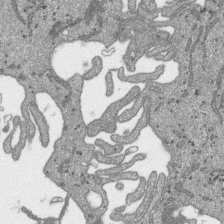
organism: Human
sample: Lung epithelial cells infected with SARS-CoV-2